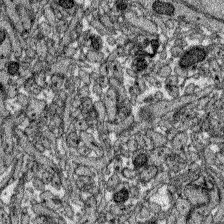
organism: Zebrafish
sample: Larval olfactory bulb